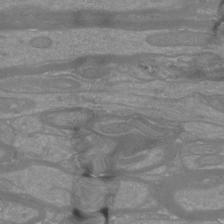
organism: Mouse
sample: Cortical neurons